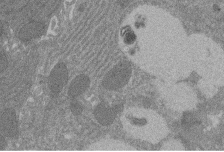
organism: Rat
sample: Salivary granule